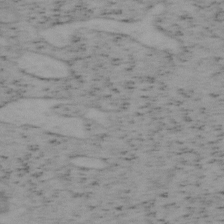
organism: Mouse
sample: OT-I killer T cells with ID8 ovarian cancer cells